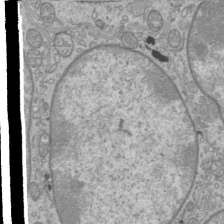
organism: Mouse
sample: Cilia; mouse epididymis